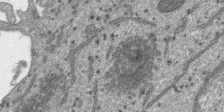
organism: Human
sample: Lung epithelial cells infected with SARS-CoV-2